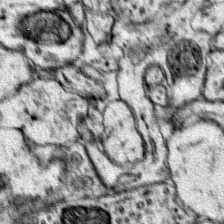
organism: Mouse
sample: Primary visual cortex